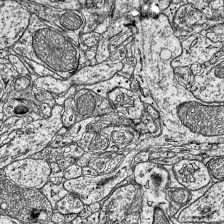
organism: Mouse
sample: Visual Cortex